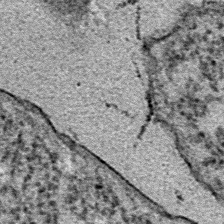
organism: E. coli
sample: E. Coli Bacteria